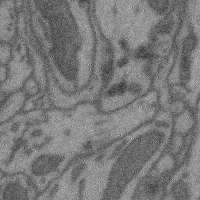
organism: Mouse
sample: Cerebral cortex